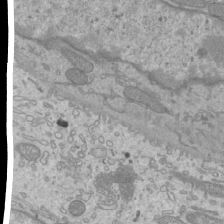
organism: Mouse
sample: Cilia; mouse epididymis